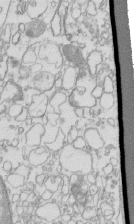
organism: Mouse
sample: Macrophages